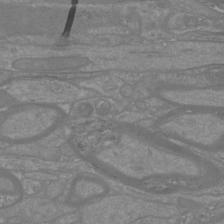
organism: Mouse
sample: Cortical neurons